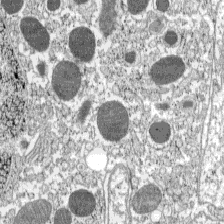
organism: C57BL Mouse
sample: Pancreatic islet